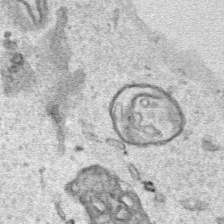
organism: Human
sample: Mitochondria in HCT116 cells